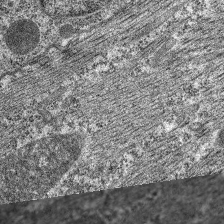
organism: C. elegans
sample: Pharynx